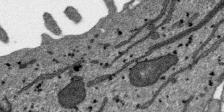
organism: Human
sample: Lung epithelial cells, uninfected (mock) control